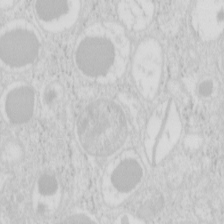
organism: Mouse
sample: Pancreas